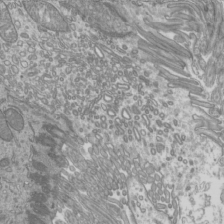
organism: Mouse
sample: Cilia; mouse epididymis